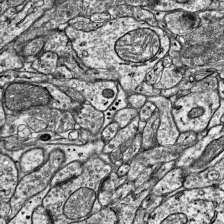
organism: Mouse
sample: Visual Cortex